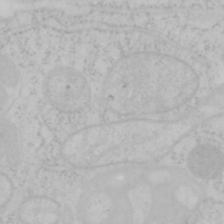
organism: Mouse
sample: OT-I killer T cells with ID8 ovarian cancer cells